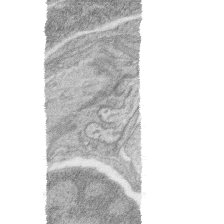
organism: Zebrafish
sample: synaptic ribbons in rod cells and cone cells